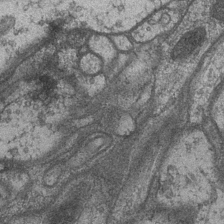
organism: Drosophila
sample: Optic medulla